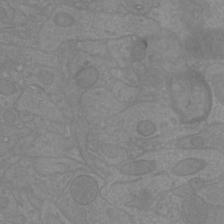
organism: Mouse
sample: Cortical neurons